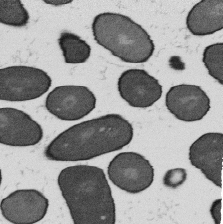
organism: B. subtilis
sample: Bacterial spore